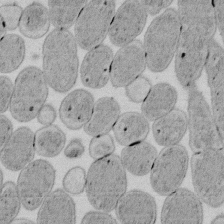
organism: E. coli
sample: Bacterial nucleoid